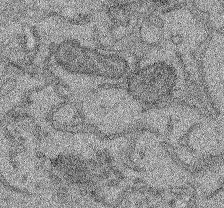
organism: Human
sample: HeLa cells